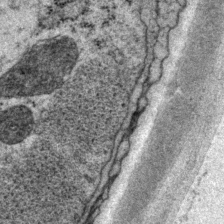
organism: P. pacificus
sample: Pharynx